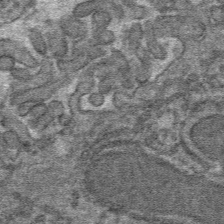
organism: Mouse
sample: Mouse hepatocytes